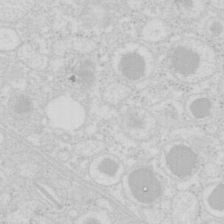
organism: Mouse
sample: Pancreas